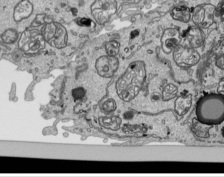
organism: Human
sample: Mitochondria in HCT116 cells